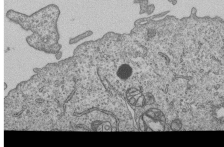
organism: Human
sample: MDA-MB-231 cells